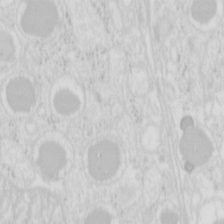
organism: Mouse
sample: Pancreas